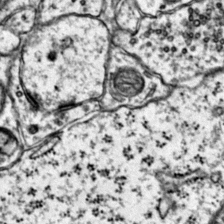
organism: Mouse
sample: Primary visual cortex